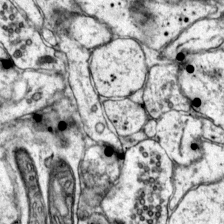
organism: Mouse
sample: Primary visual cortex